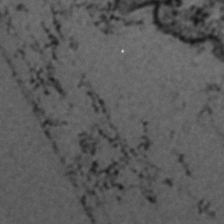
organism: C. elegans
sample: C. elegans embryo